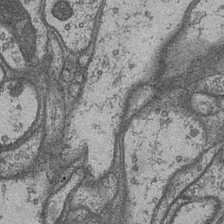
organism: Drosophila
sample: Optic medulla